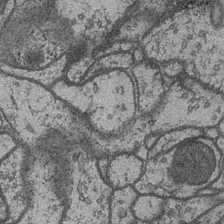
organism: Drosophila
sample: Optic medulla